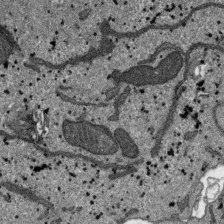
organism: Human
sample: Lung epithelial cells, uninfected (mock) control